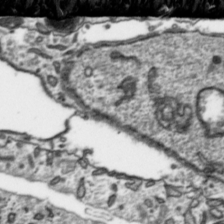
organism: Toxoplasma gondii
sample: Parasites in a vacuole inside a host cell